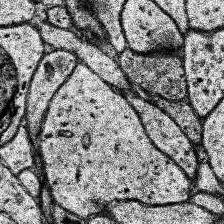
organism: Human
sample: Temporal Lobe